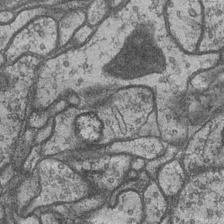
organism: Drosophila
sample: Optic medulla